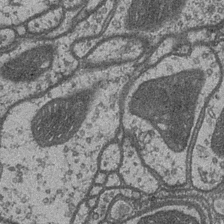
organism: Drosophila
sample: Optic medulla